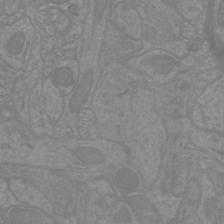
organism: Mouse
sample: Cortical neurons